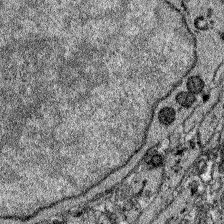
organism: Zebrafish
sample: Larval olfactory bulb